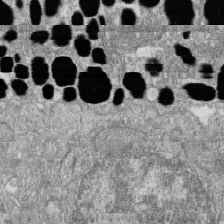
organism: Zebrafish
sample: Cilia; retinal pigment epithelium